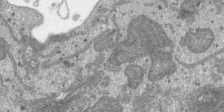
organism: Human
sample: Lung epithelial cells infected with SARS-CoV-2